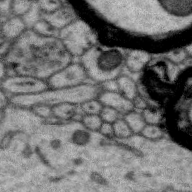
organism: Zebra finch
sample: Brain